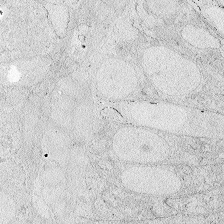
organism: Zebrafish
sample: Whole-Brain